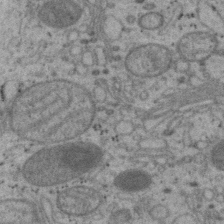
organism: Human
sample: HeLa cells